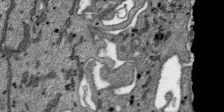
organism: Human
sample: Lung epithelial cells, uninfected (mock) control